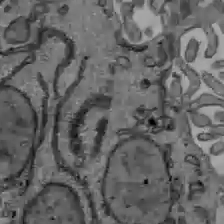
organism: C57BL Mouse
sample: Liver